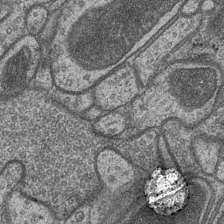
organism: Drosophila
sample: Optic medulla